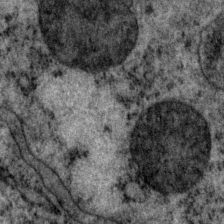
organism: P. pacificus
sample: Pharynx